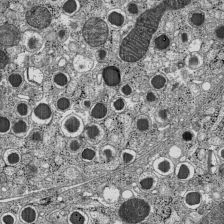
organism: C57BL Mouse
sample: Pancreatic islet